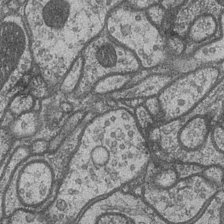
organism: Drosophila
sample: Optic medulla